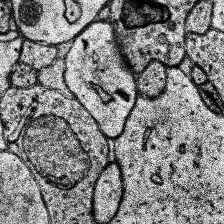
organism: Human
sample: Temporal Lobe